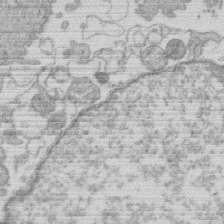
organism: Human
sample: Macrophage cells